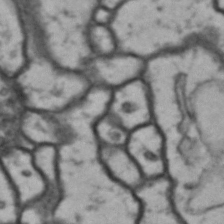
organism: Drosophila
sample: Brain